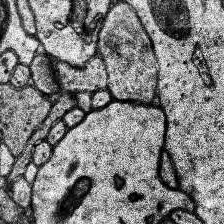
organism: Human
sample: Temporal Lobe